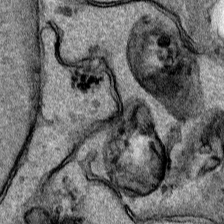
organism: Human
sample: Mitochondria in HCT116 cells